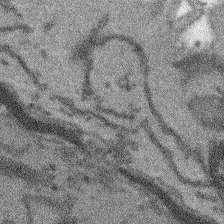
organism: Arabidopsis thaliana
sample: Root tip